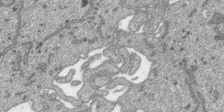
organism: Human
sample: Lung epithelial cells infected with SARS-CoV-2